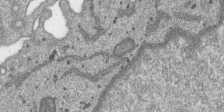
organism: Human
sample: Lung epithelial cells infected with SARS-CoV-2